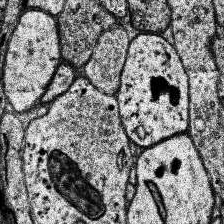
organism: Human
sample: Temporal Lobe